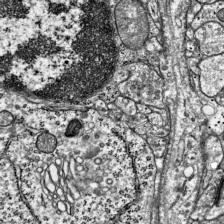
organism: Mouse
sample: Visual Cortex